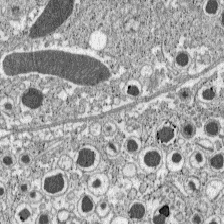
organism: C57BL Mouse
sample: Pancreatic islet